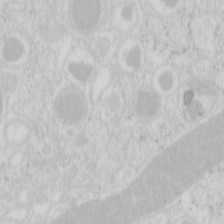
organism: Mouse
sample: Pancreas